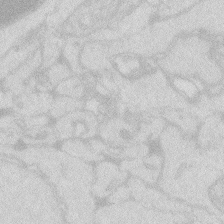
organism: Zebrafish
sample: Macrophage